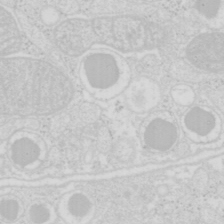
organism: Mouse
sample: Pancreas